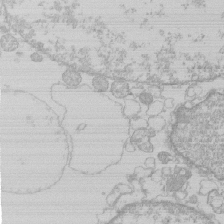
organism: Human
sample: Macrophage cells